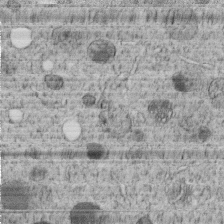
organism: C. elegans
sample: C. elegans embryo early stage